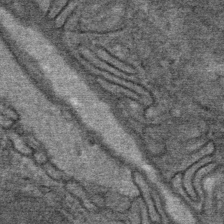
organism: Mouse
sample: Mouse Salivary gland